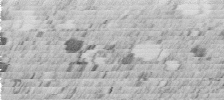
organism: C. elegans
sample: C. elegans embryo early stage